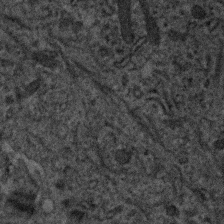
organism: Human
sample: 1205lu cells